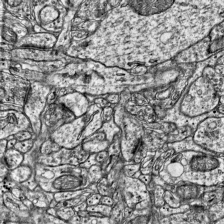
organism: Mouse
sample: Visual Cortex